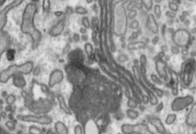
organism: Toxoplasma gondii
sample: Parasites in a vacuole inside a host cell